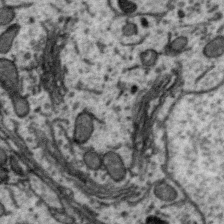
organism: Zebra finch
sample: Brain